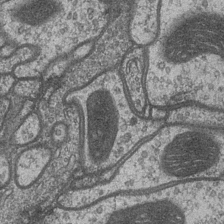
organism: Drosophila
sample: Optic medulla